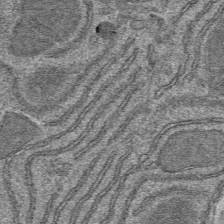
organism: Mouse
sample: Mouse hepatocytes